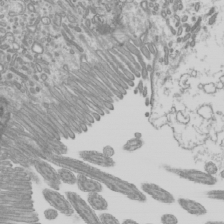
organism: Mouse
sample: Cilia; mouse epididymis